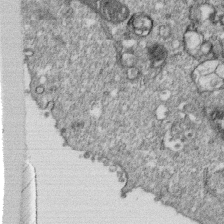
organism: African green monkey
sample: Vero E6 cells infected with SARS-CoV-2